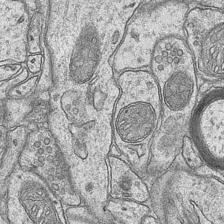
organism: Mouse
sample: CA1 Hippocampus